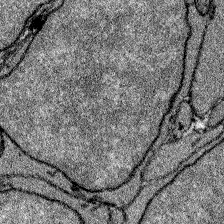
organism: Zebrafish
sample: Larval olfactory bulb